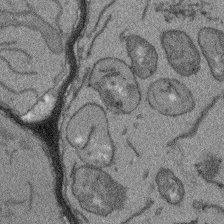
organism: Arabidopsis thaliana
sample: Root tip